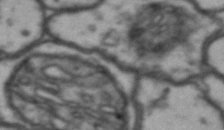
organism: Drosophila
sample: Brain